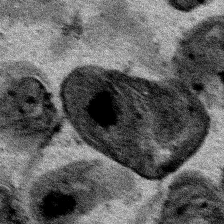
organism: Human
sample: Mitochondria in HCT116 cells